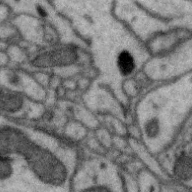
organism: Zebra finch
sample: Brain